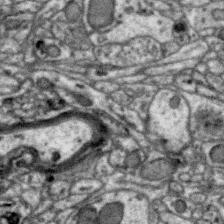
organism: Zebra finch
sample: Brain